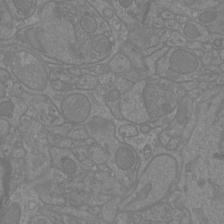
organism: Mouse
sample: Cortical neurons